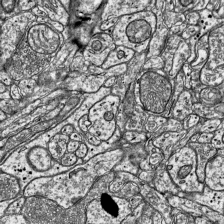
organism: Mouse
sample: Visual Cortex